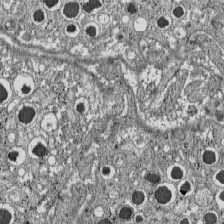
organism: C57BL Mouse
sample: Pancreatic islet